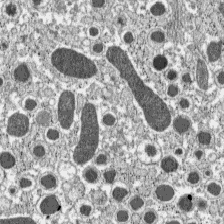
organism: C57BL Mouse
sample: Pancreatic islet